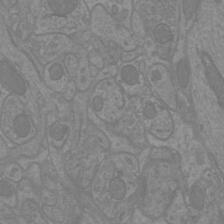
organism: Mouse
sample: Cortical neurons